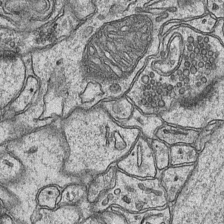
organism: Mouse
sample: CA1 Hippocampus